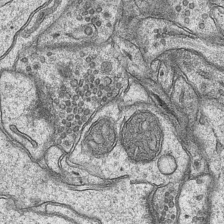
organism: Mouse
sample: CA1 Hippocampus